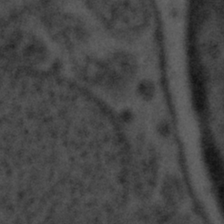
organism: Tuwongella immobilis